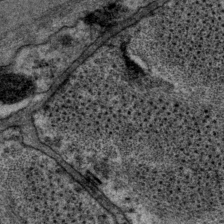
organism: P. pacificus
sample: Pharynx